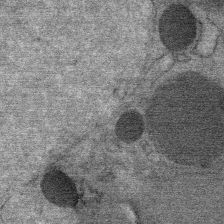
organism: Mouse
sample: Mouse Salivary gland